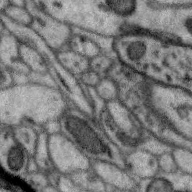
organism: Zebra finch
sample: Brain